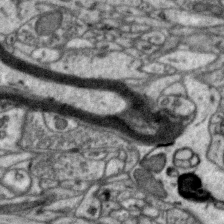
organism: Zebra finch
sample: Brain